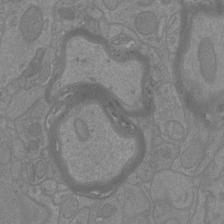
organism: Mouse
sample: Cortical neurons